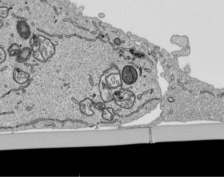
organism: Human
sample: Mitochondria in HCT116 cells